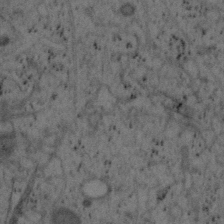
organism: Human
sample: HeLa cells